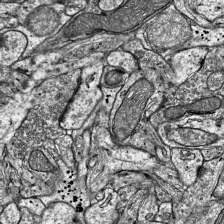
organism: Mouse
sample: Visual Cortex